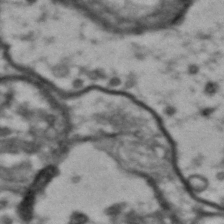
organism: Drosophila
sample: Brain